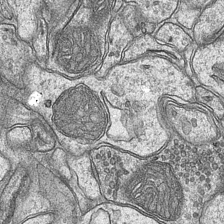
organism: Mouse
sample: CA1 Hippocampus